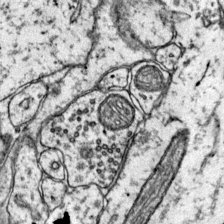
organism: Mouse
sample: Primary visual cortex